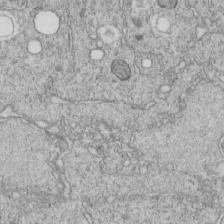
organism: C. elegans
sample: C. elegans embryo early stage